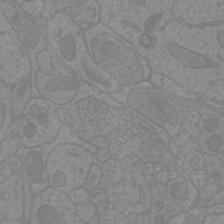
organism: Mouse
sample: Cortical neurons